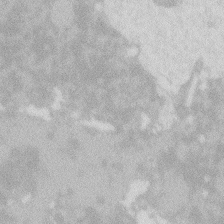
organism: Zebrafish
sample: Macrophage